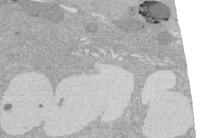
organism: Rat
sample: Salivary granule